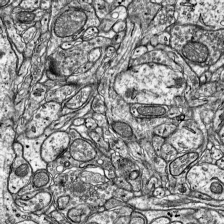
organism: Mouse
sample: Visual Cortex